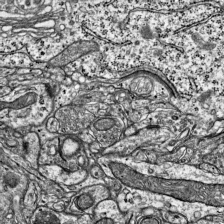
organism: Mouse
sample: Visual Cortex